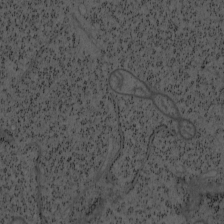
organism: Mouse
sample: OT-I killer T cells with ID8 ovarian cancer cells